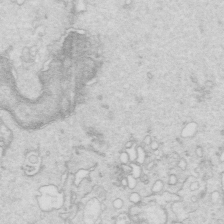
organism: Mouse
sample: Multiciliated cells